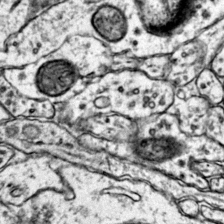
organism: Mouse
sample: Primary visual cortex